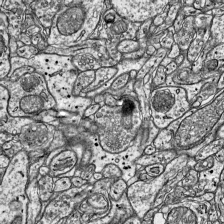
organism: Mouse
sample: Visual Cortex